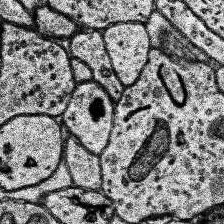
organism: Human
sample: Temporal Lobe